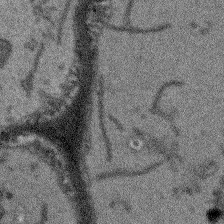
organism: Arabidopsis thaliana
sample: Root tip